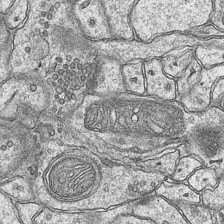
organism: Mouse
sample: CA1 Hippocampus